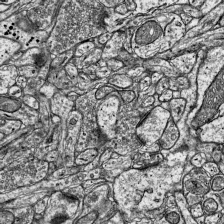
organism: Mouse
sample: Visual Cortex